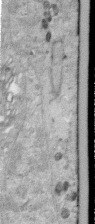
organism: Human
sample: Centriole in RPE cells